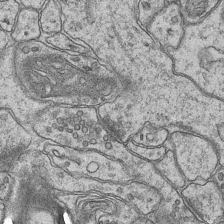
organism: Mouse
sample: CA1 Hippocampus